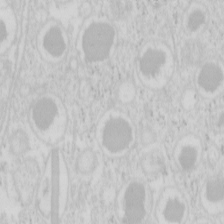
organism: Mouse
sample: Pancreas